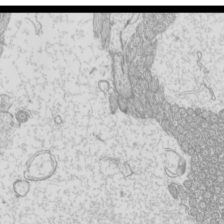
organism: Mouse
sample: Cilia; mouse epididymis